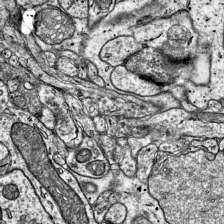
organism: Mouse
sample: Visual Cortex